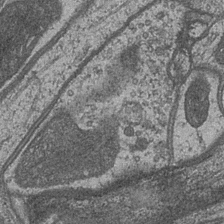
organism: Drosophila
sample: Optic medulla